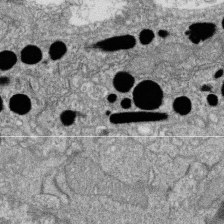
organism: Zebrafish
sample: Cilia; retinal pigment epithelium